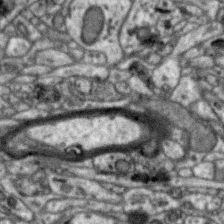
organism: Zebra finch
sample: Brain